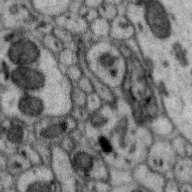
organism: Zebra finch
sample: Brain